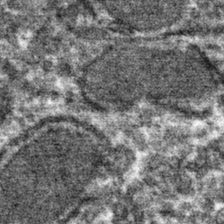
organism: Mouse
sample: Mouse hepatocytes